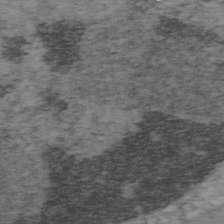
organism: Mouse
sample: OT-I killer T cells with ID8 ovarian cancer cells